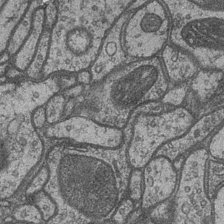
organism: Drosophila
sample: Optic medulla